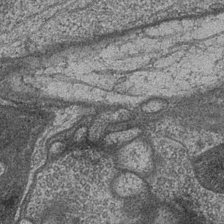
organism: Drosophila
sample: Optic medulla